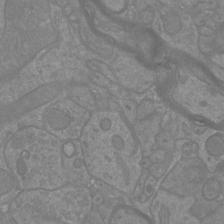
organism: Mouse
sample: Cortical neurons